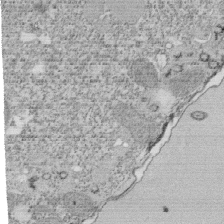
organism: Tetrahymena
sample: Cilia in tetrahymena